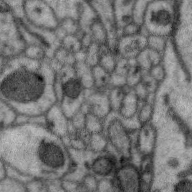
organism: Zebra finch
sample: Brain